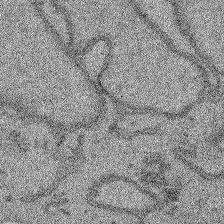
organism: Human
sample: HeLa cells